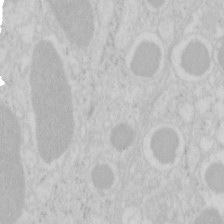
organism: Mouse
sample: Pancreas